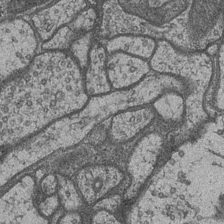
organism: Drosophila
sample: Optic medulla